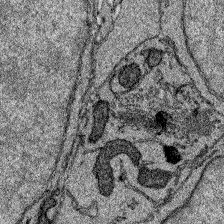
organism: Zebrafish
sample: Larval olfactory bulb